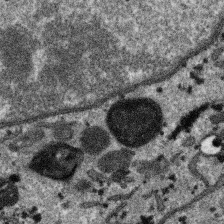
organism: Human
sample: Lung epithelial cells infected with SARS-CoV-2